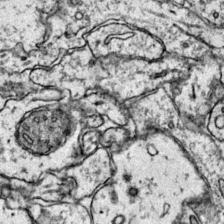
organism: Mouse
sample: Primary visual cortex